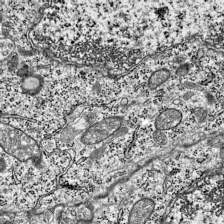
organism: Mouse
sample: Visual Cortex